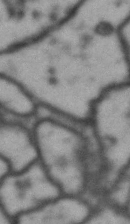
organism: Drosophila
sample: Brain